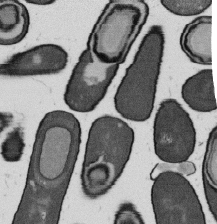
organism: B. subtilis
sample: Bacterial spore